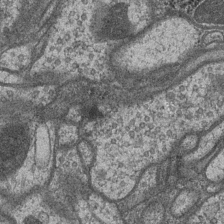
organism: Drosophila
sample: Optic medulla